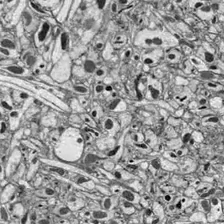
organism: Drosophila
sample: Optic lobe